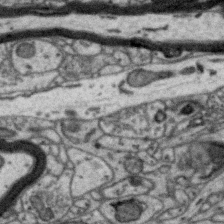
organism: Zebra finch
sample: Brain